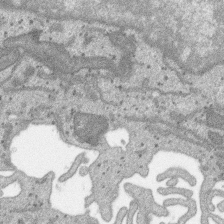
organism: Human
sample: Lung epithelial cells infected with SARS-CoV-2